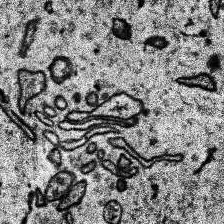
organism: Human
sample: Temporal Lobe